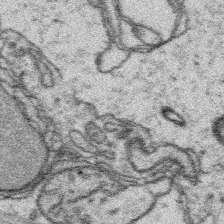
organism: Platynereis dumerilii